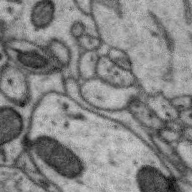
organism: Zebra finch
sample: Brain